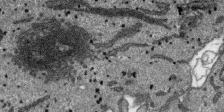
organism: Human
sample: Lung epithelial cells, uninfected (mock) control